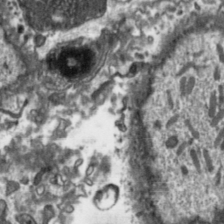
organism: Toxoplasma gondii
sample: Parasites in a vacuole inside a host cell